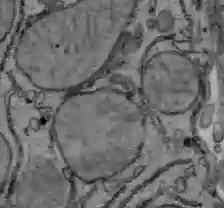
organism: C57BL Mouse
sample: Liver